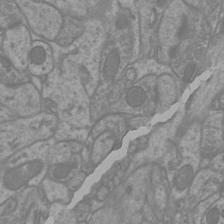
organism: Mouse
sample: Cortical neurons